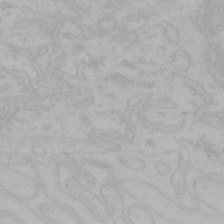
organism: Mouse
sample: Choroid plexus